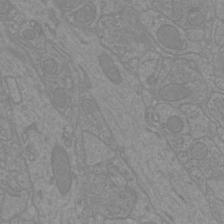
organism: Mouse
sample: Cortical neurons